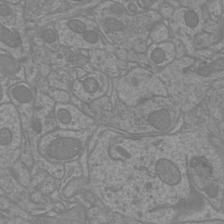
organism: Mouse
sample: Cortical neurons